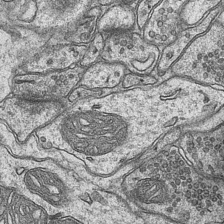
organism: Mouse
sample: CA1 Hippocampus